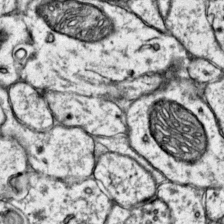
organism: Mouse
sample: Primary visual cortex